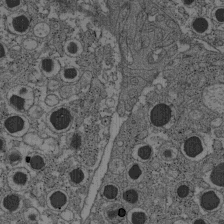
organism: C57BL Mouse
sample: Pancreatic islet